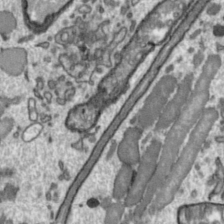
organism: Toxoplasma gondii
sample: Parasites in a vacuole inside a host cell